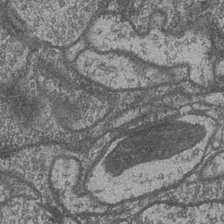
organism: Drosophila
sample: Optic medulla